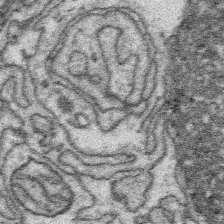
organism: Platynereis dumerilii